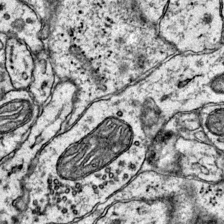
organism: Mouse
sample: Primary visual cortex